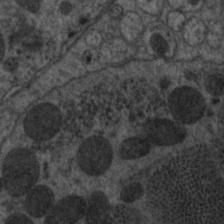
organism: C. elegans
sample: Pharynx